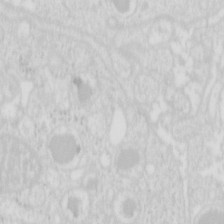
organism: Mouse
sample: Pancreas